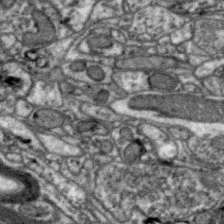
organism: Zebra finch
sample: Brain